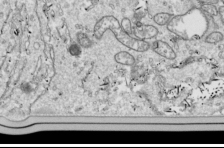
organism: Drosophila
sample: Cell division; meiosis; drosophila spermatocytes